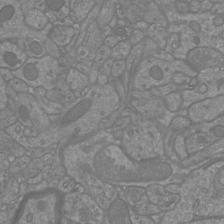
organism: Mouse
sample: Cortical neurons